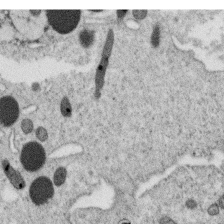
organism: C. elegans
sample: C. elegans oocyte; sperm cells